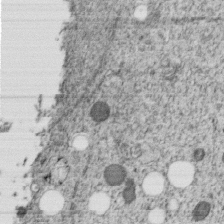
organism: C. elegans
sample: C. elegans embryo early stage